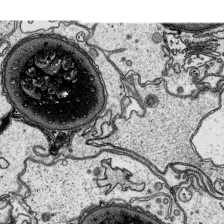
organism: Platynereis dumerilii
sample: Parapodia